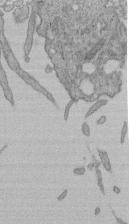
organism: Human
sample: Retinal organoid Rod and Cone cells